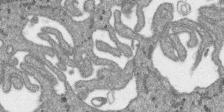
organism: Human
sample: Lung epithelial cells infected with SARS-CoV-2